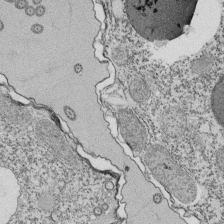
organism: Tetrahymena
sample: Cilia in tetrahymena